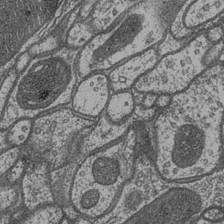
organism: Drosophila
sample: Optic medulla